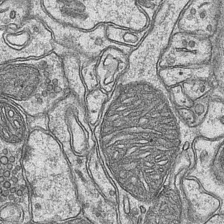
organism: Mouse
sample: CA1 Hippocampus